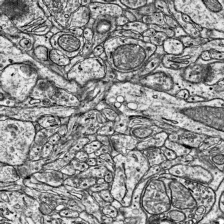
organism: Mouse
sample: Visual Cortex